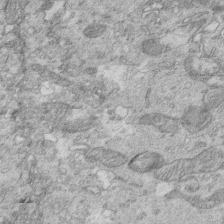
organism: Mouse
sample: Multiciliated cells